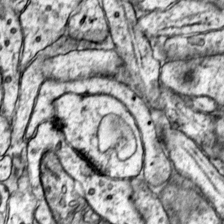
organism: Mouse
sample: Primary visual cortex